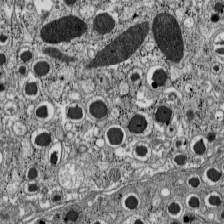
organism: C57BL Mouse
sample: Pancreatic islet